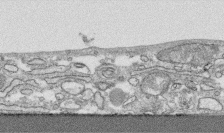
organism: Human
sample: CRL-1474